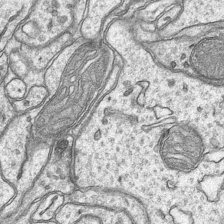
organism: Mouse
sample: CA1 Hippocampus